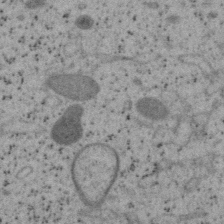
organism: Human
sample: HeLa cells